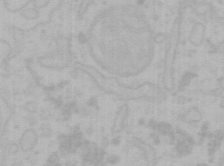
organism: Mouse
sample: Choroid plexus